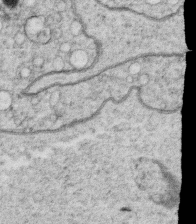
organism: C. elegans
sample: C. elegans oocyte; sperm cells